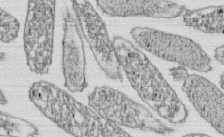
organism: E. coli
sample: Bacterial nucleoid